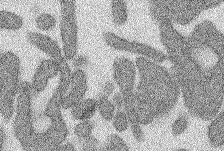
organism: Human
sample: HeLa cells